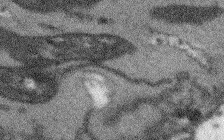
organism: Arabidopsis thaliana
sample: Root tip